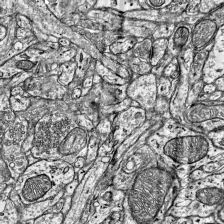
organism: Mouse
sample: Visual Cortex